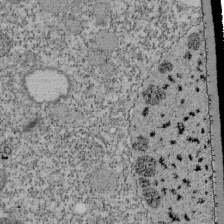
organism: Tetrahymena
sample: Cilia in tetrahymena